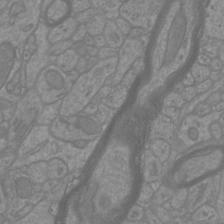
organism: Mouse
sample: Cortical neurons